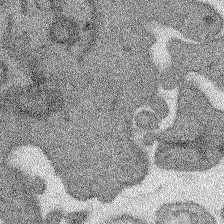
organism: Human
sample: HeLa cells